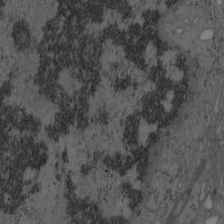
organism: Mouse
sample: OT-I killer T cells with ID8 ovarian cancer cells